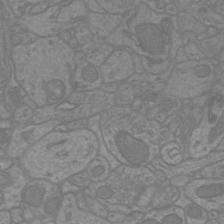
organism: Mouse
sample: Cortical neurons